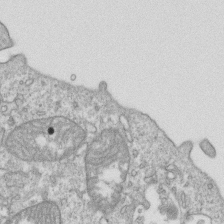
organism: Mouse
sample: Activated OT-1 CD8+ T cells